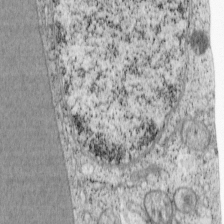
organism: African green monkey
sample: COS-7 cells